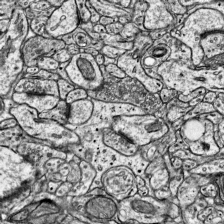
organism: Mouse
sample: Visual Cortex